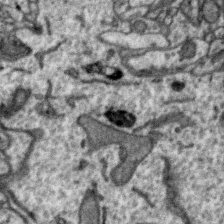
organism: Zebra finch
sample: Brain